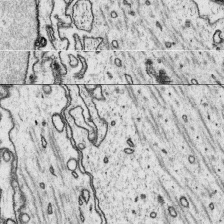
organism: Platynereis dumerilii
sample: Parapodia